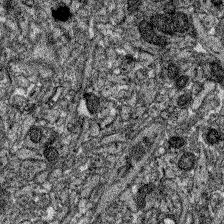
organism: Zebrafish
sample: Larval olfactory bulb